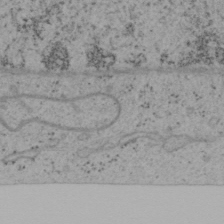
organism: Human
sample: HeLa cells